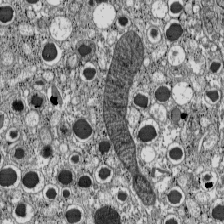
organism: C57BL Mouse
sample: Pancreatic islet